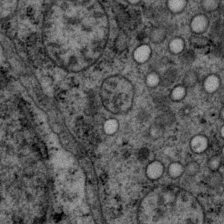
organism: P. pacificus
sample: Pharynx